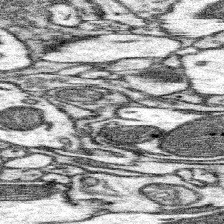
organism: Mouse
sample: Somatosensory cortex neuropil